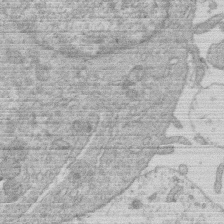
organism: Human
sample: Macrophage cells